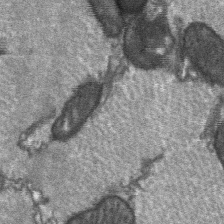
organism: C57BL Mouse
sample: Soleus